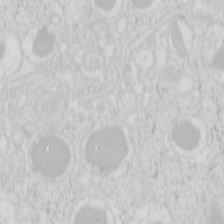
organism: Mouse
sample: Pancreas